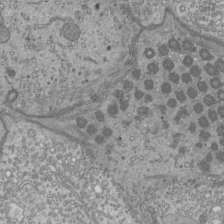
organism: Mouse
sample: Cilia; mouse epididymis